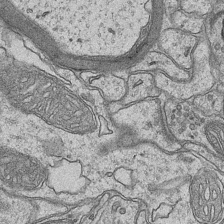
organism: Mouse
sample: CA1 Hippocampus